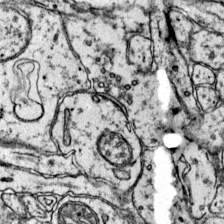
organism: Mouse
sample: Primary visual cortex